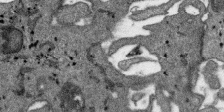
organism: Human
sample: Lung epithelial cells, uninfected (mock) control